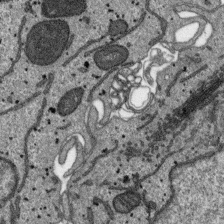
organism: Human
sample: Lung epithelial cells, uninfected (mock) control